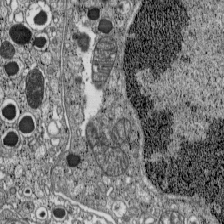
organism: C57BL Mouse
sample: Pancreatic islet